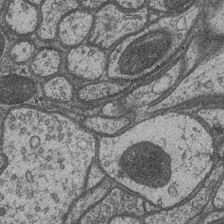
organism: Drosophila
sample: Optic medulla